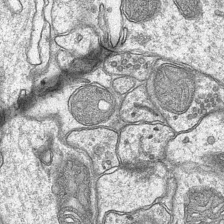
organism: Mouse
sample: CA1 Hippocampus